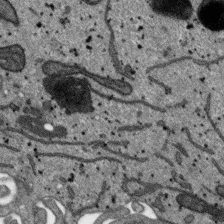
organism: Human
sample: Lung epithelial cells, uninfected (mock) control